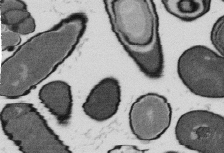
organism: B. subtilis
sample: Bacterial spore